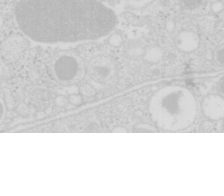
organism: Mouse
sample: Pancreas